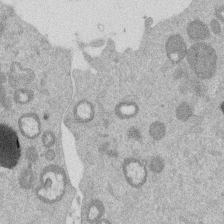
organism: Mouse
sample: Dividing mouse embryo 1 cell stage